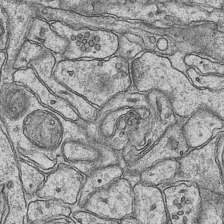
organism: Mouse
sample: CA1 Hippocampus